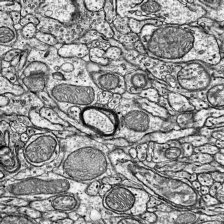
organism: Mouse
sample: Visual Cortex